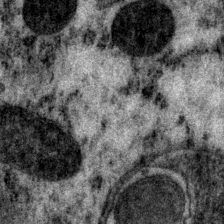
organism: P. pacificus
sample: Pharynx